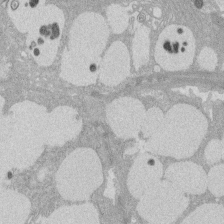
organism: Rat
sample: Salivary granule